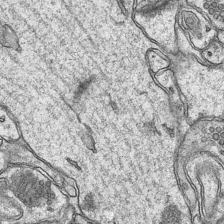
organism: Mouse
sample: CA1 Hippocampus